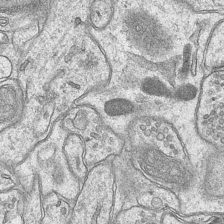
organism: Mouse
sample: CA1 Hippocampus